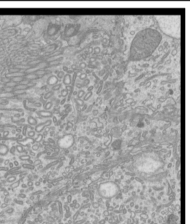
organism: Mouse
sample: Cilia; mouse epididymis